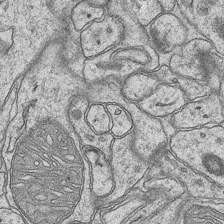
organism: Mouse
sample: CA1 Hippocampus